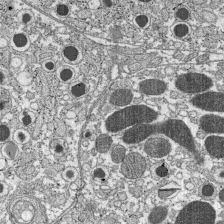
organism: C57BL Mouse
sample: Pancreatic islet